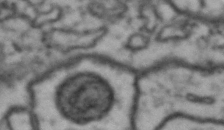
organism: Drosophila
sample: Brain